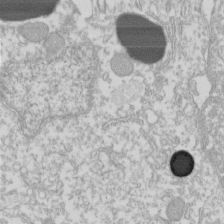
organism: Xenopus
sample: Cilia; centrioles in frog embryo cells